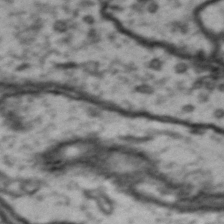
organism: Drosophila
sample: Brain